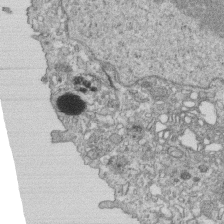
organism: Human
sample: HeLa cell HIV synapse